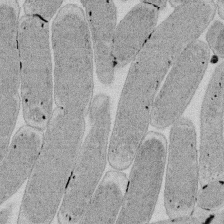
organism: E. coli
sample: Bacterial nucleoid